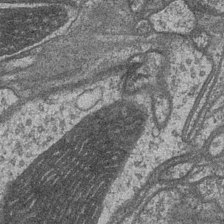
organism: Drosophila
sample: Optic medulla